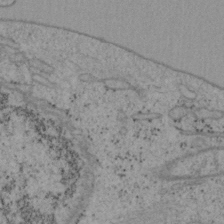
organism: Human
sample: HeLa cells